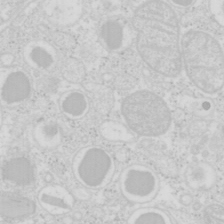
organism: Mouse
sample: Pancreas